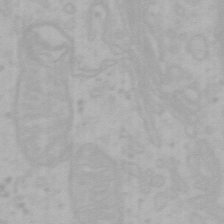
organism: Mouse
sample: Choroid plexus